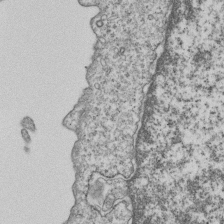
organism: Human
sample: MDA-MB-231 cells